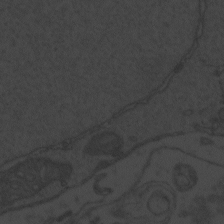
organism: Zebrafish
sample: Macrophage infected with Toxoplasma gondii